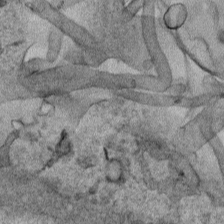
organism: Human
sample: Mitochondria in HCT116 cells